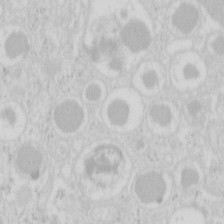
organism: Mouse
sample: Pancreas